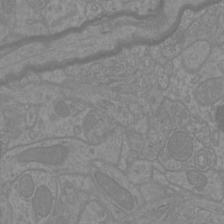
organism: Mouse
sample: Cortical neurons